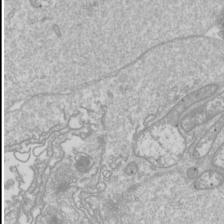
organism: Drosophila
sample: Cell division; meiosis; drosophila spermatocytes